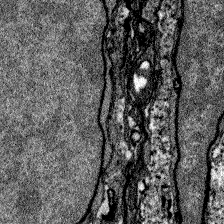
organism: Zebrafish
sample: Larval olfactory bulb